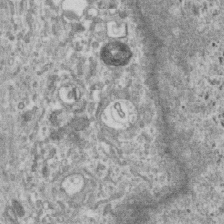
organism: Human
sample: Centriole in RPE cells